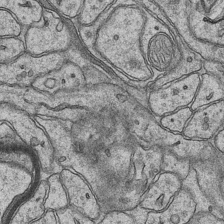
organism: Mouse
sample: CA1 Hippocampus